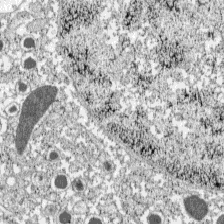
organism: C57BL Mouse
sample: Pancreatic islet